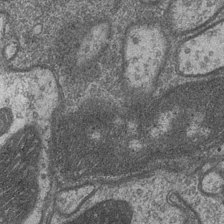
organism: Drosophila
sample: Optic medulla